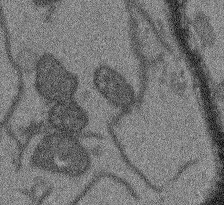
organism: Arabidopsis thaliana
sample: Root tip